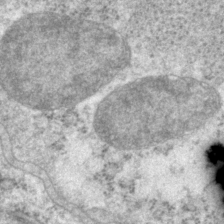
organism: P. pacificus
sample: Pharynx